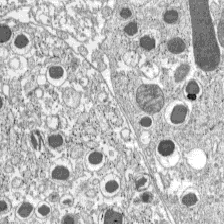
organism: C57BL Mouse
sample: Pancreatic islet